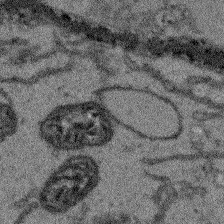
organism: Arabidopsis thaliana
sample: Root tip